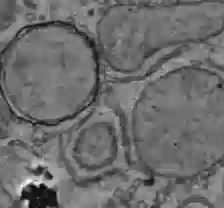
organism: C57BL Mouse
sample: Liver